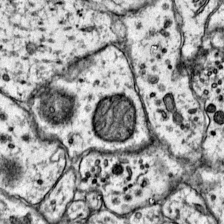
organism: Mouse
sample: Primary visual cortex